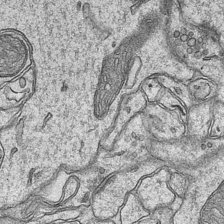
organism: Mouse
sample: CA1 Hippocampus